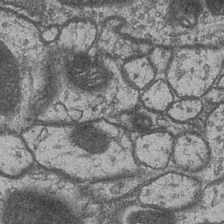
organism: Drosophila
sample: Optic medulla